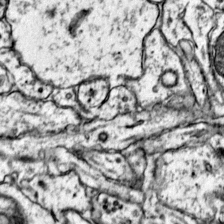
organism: Mouse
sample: Primary visual cortex